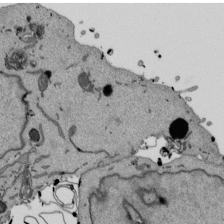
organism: Mouse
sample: ED-1 cell nuclei; centrioles